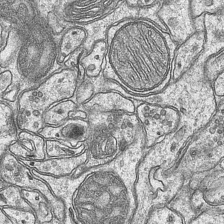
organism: Mouse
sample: CA1 Hippocampus